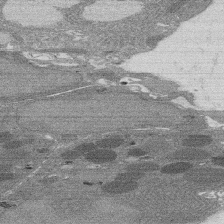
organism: Rat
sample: Salivary granule